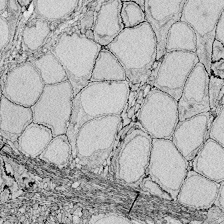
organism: Zebrafish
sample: Whole-Brain